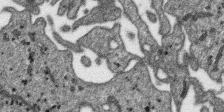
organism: Human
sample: Lung epithelial cells infected with SARS-CoV-2